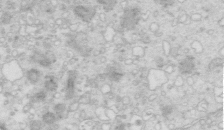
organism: Mouse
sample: Multiciliated cells